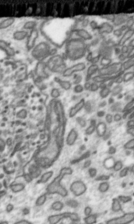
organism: Toxoplasma gondii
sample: Parasites in a vacuole inside a host cell